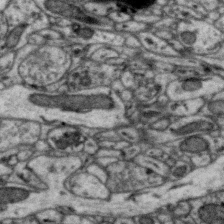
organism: Zebra finch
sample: Brain